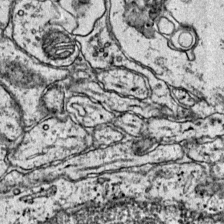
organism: Mouse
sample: Primary visual cortex